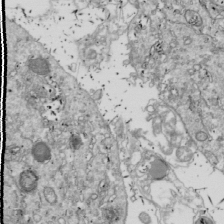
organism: Drosophila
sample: Cell division; meiosis; drosophila spermatocytes